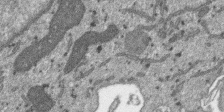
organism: Human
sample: Lung epithelial cells infected with SARS-CoV-2